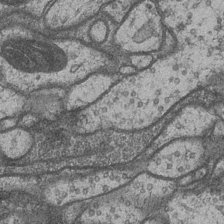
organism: Drosophila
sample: Optic medulla